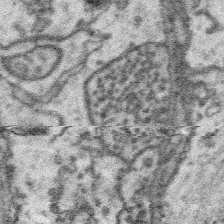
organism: Platynereis dumerilii